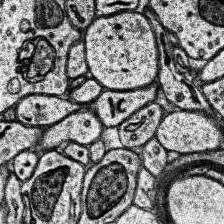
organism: Human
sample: Temporal Lobe